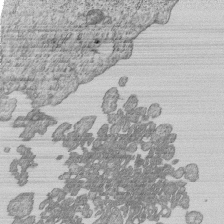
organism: Human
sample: MDA-MB-231 cells